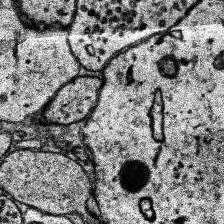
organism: Human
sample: Temporal Lobe